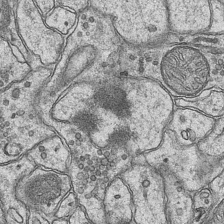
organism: Mouse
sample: CA1 Hippocampus